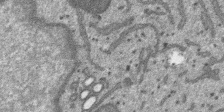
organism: Human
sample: Lung epithelial cells infected with SARS-CoV-2